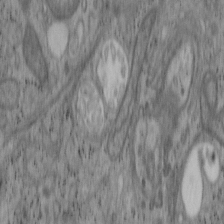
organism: Human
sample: HeLa cells